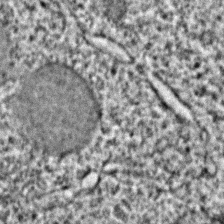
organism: C. elegans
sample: C. elegans embryo